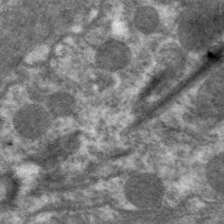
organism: C. elegans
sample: Pharynx